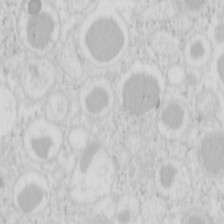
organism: Mouse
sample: Pancreas